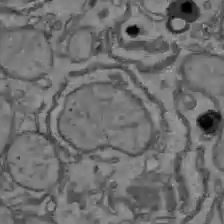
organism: C57BL Mouse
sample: Liver